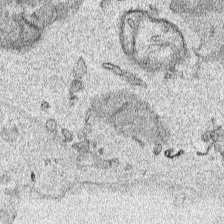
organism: Human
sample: Mitochondria in HCT116 cells